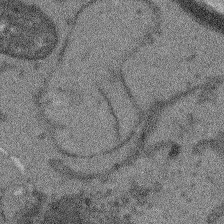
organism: Arabidopsis thaliana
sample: Root tip